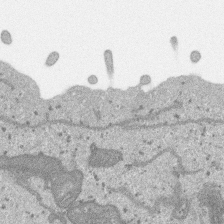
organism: Human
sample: Lung epithelial cells infected with SARS-CoV-2